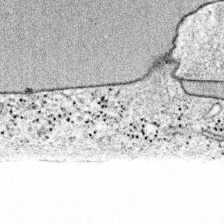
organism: Human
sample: HeLa cells